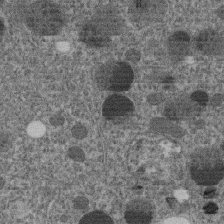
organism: C. elegans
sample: C. elegans embryo early stage